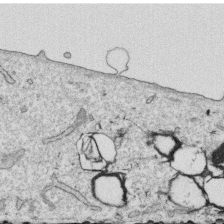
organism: Human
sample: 1205lu cells